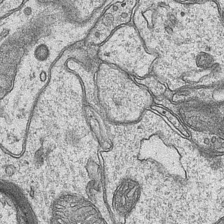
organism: Mouse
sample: CA1 Hippocampus